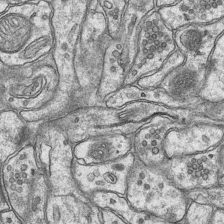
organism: Mouse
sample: CA1 Hippocampus